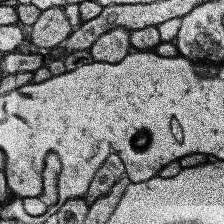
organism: Human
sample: Temporal Lobe